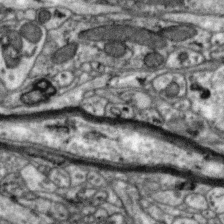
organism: Zebra finch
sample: Brain